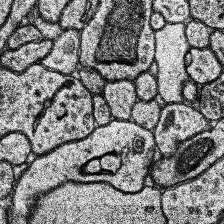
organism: Human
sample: Temporal Lobe